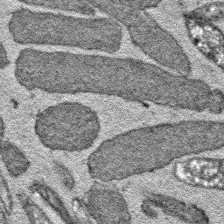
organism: E. coli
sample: E. Coli Bacteria